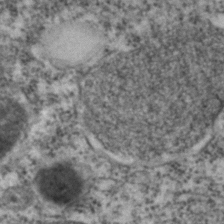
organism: C. elegans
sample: C. elegans embryo